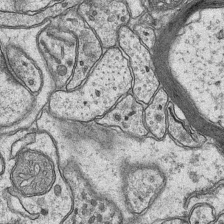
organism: Mouse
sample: CA1 Hippocampus